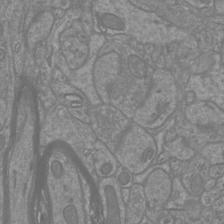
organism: Mouse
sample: Cortical neurons